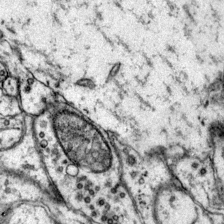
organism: Mouse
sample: Primary visual cortex